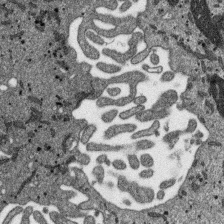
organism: Human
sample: Lung epithelial cells infected with SARS-CoV-2